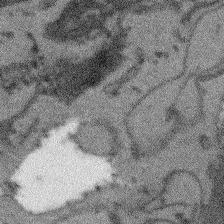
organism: Arabidopsis thaliana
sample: Root tip